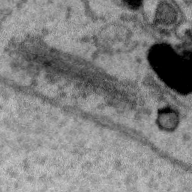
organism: Zebra finch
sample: Brain